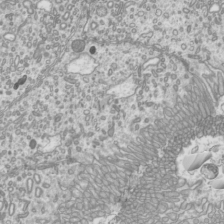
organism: Mouse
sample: Cilia; mouse epididymis